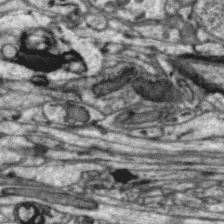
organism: Zebra finch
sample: Brain